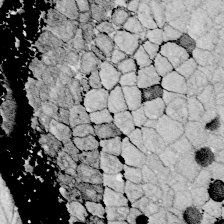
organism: Zebrafish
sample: Whole-Brain